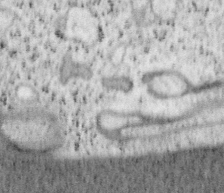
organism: Mouse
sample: OT-I killer T cells with ID8 ovarian cancer cells